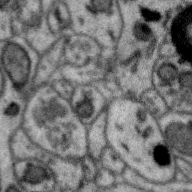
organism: Zebra finch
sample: Brain